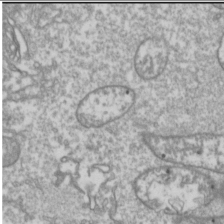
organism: Drosophila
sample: Cell division; meiosis; drosophila spermatocytes